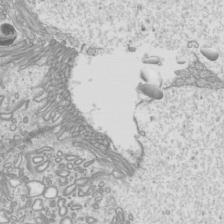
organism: Mouse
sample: Cilia; mouse epididymis